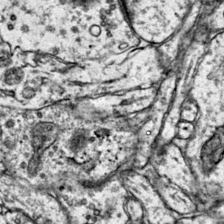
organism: Mouse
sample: Primary visual cortex